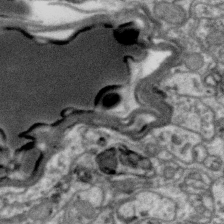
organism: Zebra finch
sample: Brain